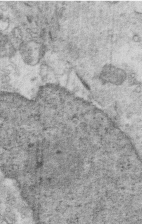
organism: Mouse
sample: Multiciliated cells